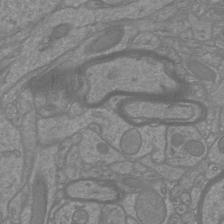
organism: Mouse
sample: Cortical neurons